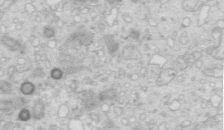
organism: Mouse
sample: Multiciliated cells